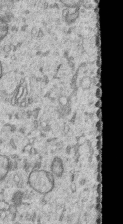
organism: Human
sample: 1205lu cells